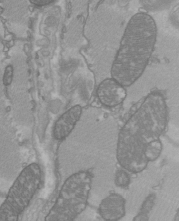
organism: C57BL Mouse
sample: Heart